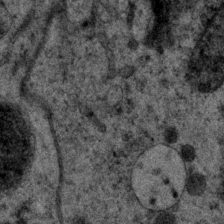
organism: P. pacificus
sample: Pharynx